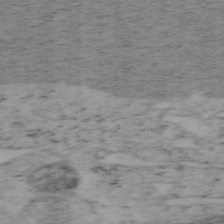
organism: Mouse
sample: OT-I killer T cells with ID8 ovarian cancer cells